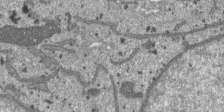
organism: Human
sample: Lung epithelial cells infected with SARS-CoV-2